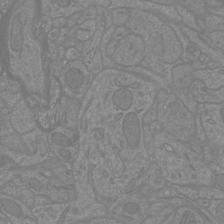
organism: Mouse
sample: Cortical neurons